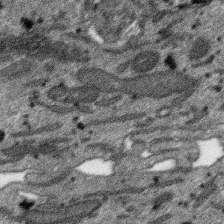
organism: Human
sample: Lung epithelial cells infected with SARS-CoV-2